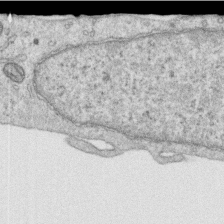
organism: Human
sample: Centriole in RPE cells